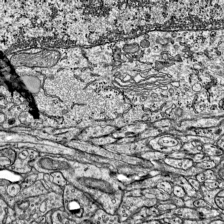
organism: Mouse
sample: Visual Cortex